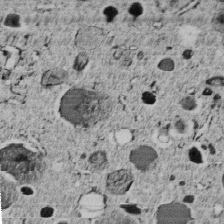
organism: C. elegans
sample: C. elegans embryo early stage